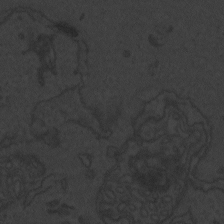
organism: Zebrafish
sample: Macrophage infected with Toxoplasma gondii